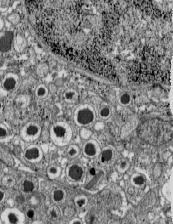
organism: C57BL Mouse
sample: Pancreatic islet